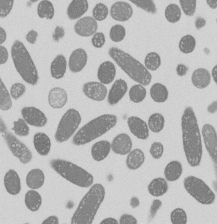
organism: E. coli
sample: Bacterial nucleoid